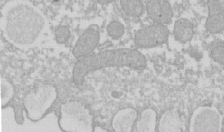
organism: Xenopus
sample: Cilia; centrioles in frog embryo cells